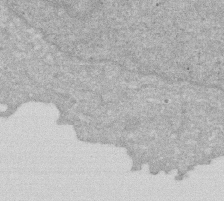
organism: Human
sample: HIV infected U937 cells